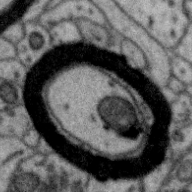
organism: Zebra finch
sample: Brain